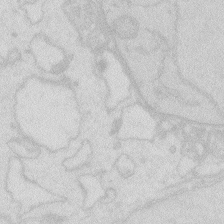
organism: Zebrafish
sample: Macrophage